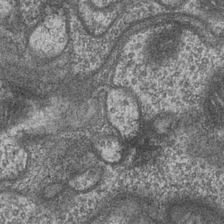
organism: Drosophila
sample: Optic medulla